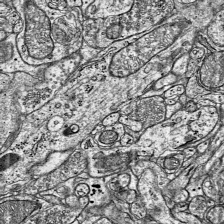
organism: Mouse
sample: Visual Cortex